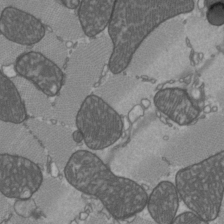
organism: C57BL Mouse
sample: Heart